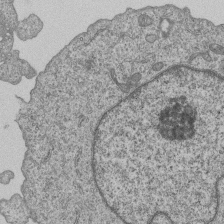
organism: Human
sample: MDA-MB-231 cells